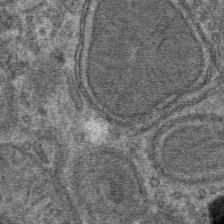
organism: Mouse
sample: Mouse hepatocytes